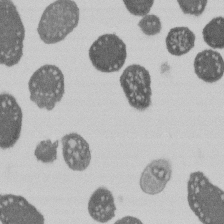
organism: E. coli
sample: Bacterial nucleoid